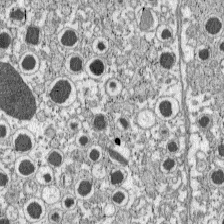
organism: C57BL Mouse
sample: Pancreatic islet